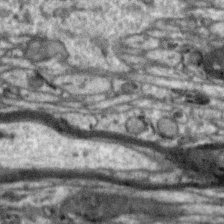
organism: Zebra finch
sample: Brain